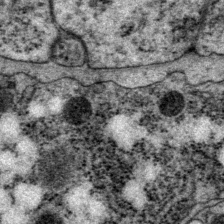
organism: P. pacificus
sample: Pharynx